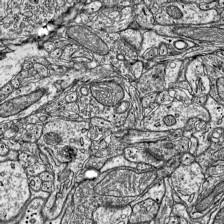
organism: Mouse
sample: Visual Cortex